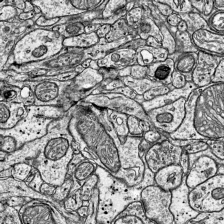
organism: Mouse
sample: Visual Cortex